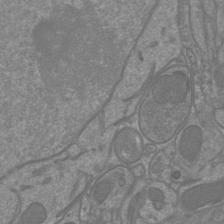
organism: Mouse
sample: Cortical neurons